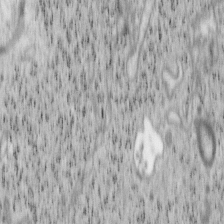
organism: Human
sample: HeLa cells